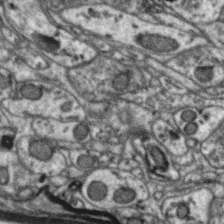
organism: Zebra finch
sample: Brain